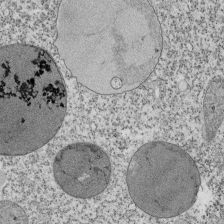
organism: Tetrahymena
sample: Cilia in tetrahymena